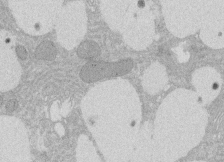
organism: Rat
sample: Salivary granule